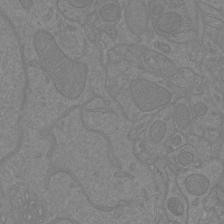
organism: Mouse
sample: Cortical neurons